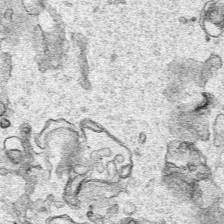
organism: Human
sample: Mitochondria in HCT116 cells